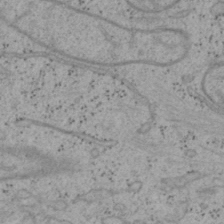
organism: Human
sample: HeLa cells